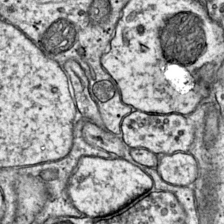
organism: Mouse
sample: Primary visual cortex